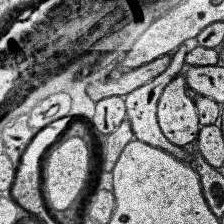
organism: Human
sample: Temporal Lobe